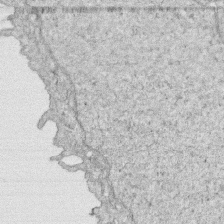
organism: Human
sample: HeLa cell HIV synapse